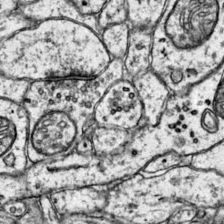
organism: Mouse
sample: Primary visual cortex